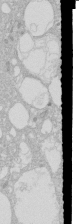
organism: Human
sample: Caco-2 cells